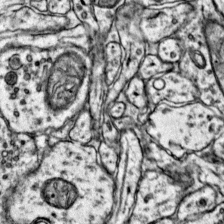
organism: Mouse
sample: Primary visual cortex